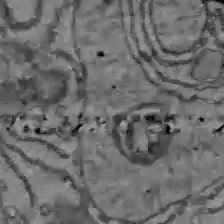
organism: C57BL Mouse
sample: Liver